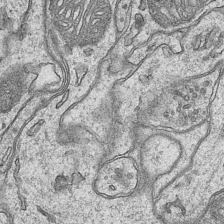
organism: Mouse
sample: CA1 Hippocampus